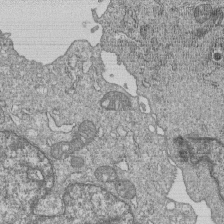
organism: Human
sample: MDA-MB-231 cells